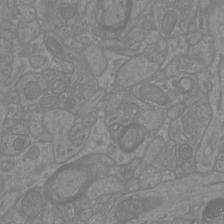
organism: Mouse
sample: Cortical neurons